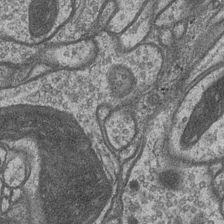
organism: Drosophila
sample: Optic medulla